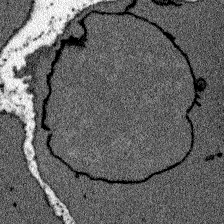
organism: Zebrafish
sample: Larval olfactory bulb